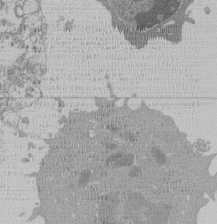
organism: Mouse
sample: Activated Pmel transgenic CD8+ T Cells